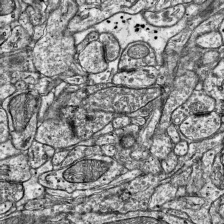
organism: Mouse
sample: Visual Cortex